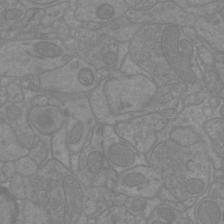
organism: Mouse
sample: Cortical neurons